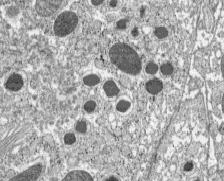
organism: C57BL Mouse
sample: Pancreatic islet